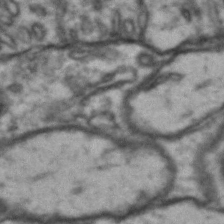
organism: Drosophila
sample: Brain